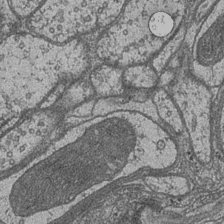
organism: Drosophila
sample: Optic medulla